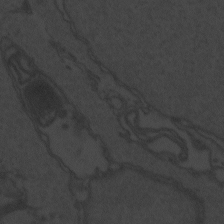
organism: Zebrafish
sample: Macrophage infected with Toxoplasma gondii